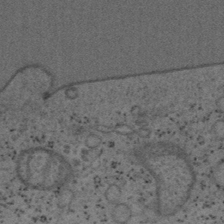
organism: Human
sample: HeLa cells